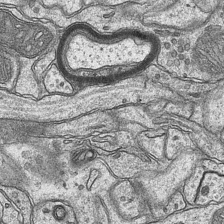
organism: Mouse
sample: CA1 Hippocampus